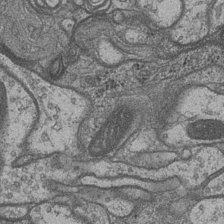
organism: Drosophila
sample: Optic medulla